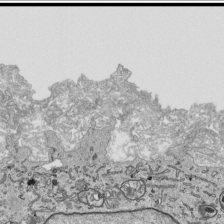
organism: Human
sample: Mitochondria in HCT116 cells